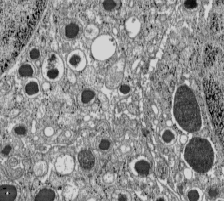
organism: C57BL Mouse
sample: Pancreatic islet